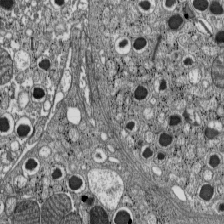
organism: C57BL Mouse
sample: Pancreatic islet